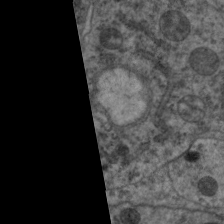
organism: C. elegans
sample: Pharynx